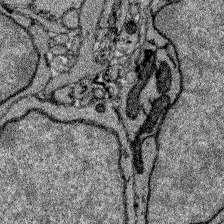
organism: Zebrafish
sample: Larval olfactory bulb